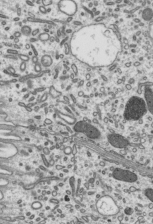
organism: Mouse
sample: Mouse epididymis efferent ductule cilia